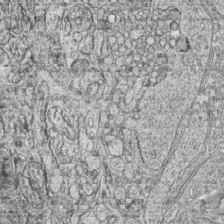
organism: Zebrafish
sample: synaptic ribbons in rod cells and cone cells